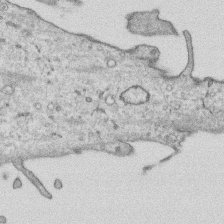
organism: Human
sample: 1205lu cells